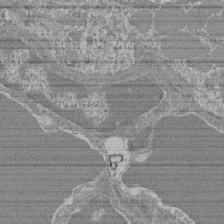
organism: Mouse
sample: Glomerulus